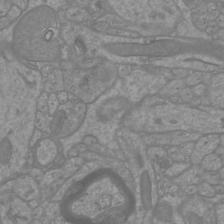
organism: Mouse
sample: Cortical neurons